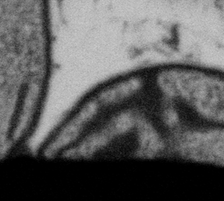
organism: Gemmata obscuriglobus